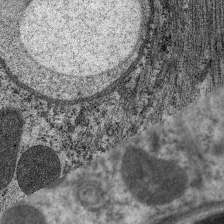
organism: C. elegans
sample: Pharynx